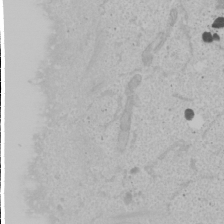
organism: Human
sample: Mitochondria in U2OS cells